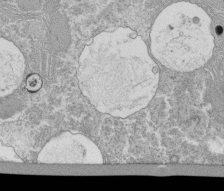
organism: Tetrahymena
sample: Cilia in tetrahymena